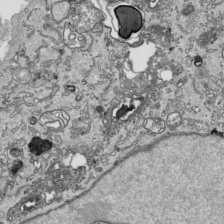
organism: Human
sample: Mitochondria in HCT116 cells